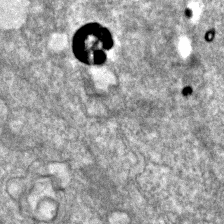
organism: Zebrafish